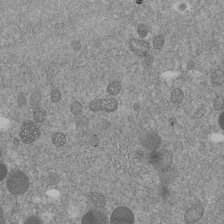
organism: C. elegans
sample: C. elegans embryo early stage